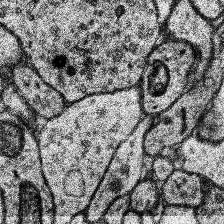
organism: Human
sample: Temporal Lobe